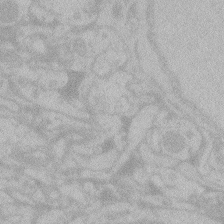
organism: Zebrafish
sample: Macrophage infected with Toxoplasma gondii